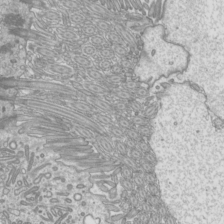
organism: Mouse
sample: Cilia; mouse epididymis